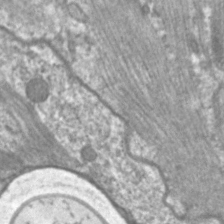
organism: C. elegans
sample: Pharynx